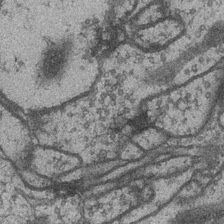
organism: Drosophila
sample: Optic medulla